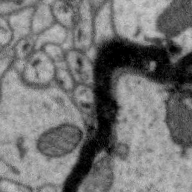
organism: Zebra finch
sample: Brain